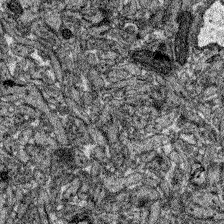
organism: Zebrafish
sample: Larval olfactory bulb